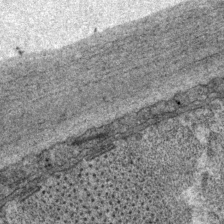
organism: P. pacificus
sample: Pharynx